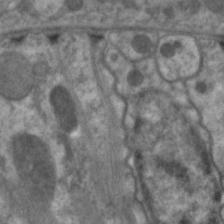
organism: C. elegans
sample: Pharynx